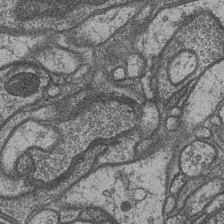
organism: Drosophila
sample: Optic medulla